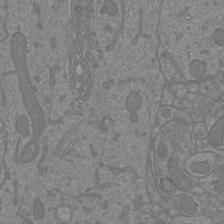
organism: Mouse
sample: Cortical neurons